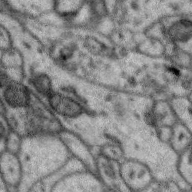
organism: Zebra finch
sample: Brain